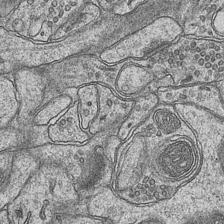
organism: Mouse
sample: CA1 Hippocampus